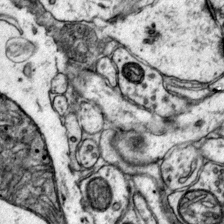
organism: Mouse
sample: Primary visual cortex